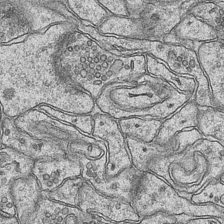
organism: Mouse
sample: CA1 Hippocampus